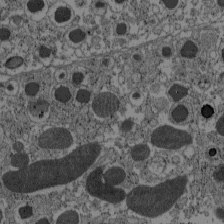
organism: C57BL Mouse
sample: Pancreatic islet